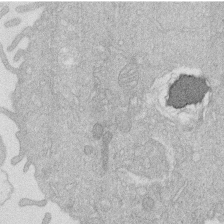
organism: Human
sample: Macrophage cells